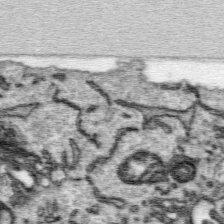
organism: Human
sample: HeLa cells